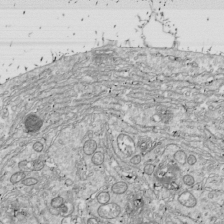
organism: Drosophila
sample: Cell division; meiosis; drosophila spermatocytes